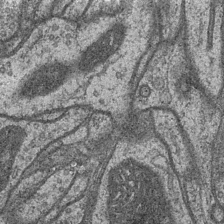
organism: Drosophila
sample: Optic medulla